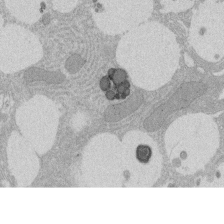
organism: Rat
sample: Salivary granule